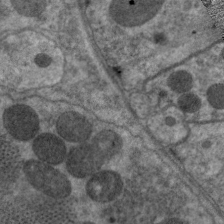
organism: C. elegans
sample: Pharynx